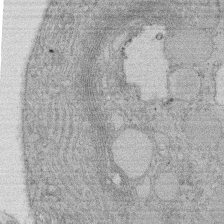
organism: Rat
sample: Salivary granule